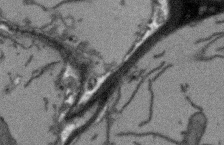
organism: Arabidopsis thaliana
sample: Root tip